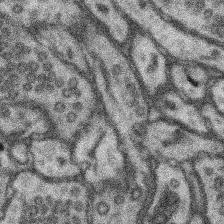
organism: Mouse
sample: Somatosensory cortex neuropil